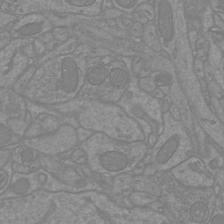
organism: Mouse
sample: Cortical neurons